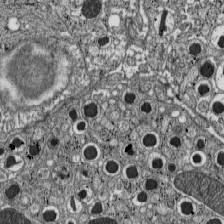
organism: C57BL Mouse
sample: Pancreatic islet